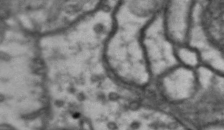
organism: Drosophila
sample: Brain